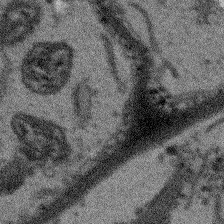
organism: Arabidopsis thaliana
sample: Root tip